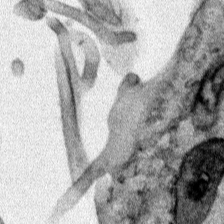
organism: Human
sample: Mitochondria in HCT116 cells